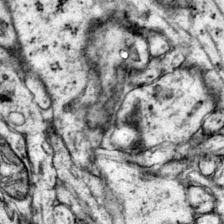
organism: Mouse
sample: Primary visual cortex